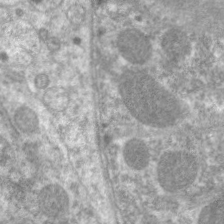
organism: C. elegans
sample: Pharynx